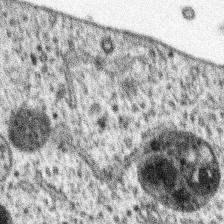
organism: Human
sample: HeLa cells